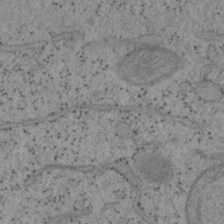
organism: Human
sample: HeLa cells